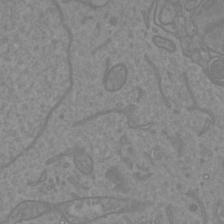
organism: Mouse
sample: Cortical neurons